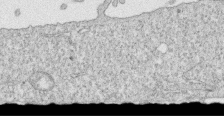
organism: Human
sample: HeLa cell HIV synapse